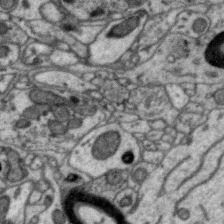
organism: Zebra finch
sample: Brain